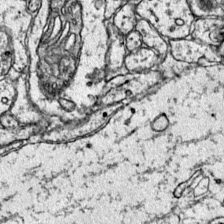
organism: Mouse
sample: Primary visual cortex